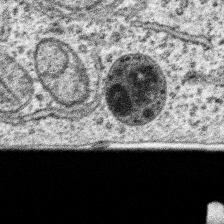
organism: Human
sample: HeLa cells